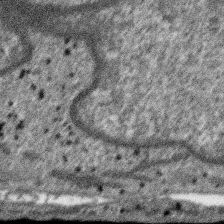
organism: Human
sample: Lung epithelial cells infected with SARS-CoV-2